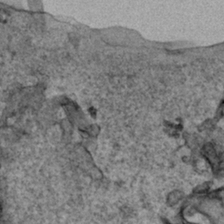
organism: Human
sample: Mitochondria in HCT116 cells